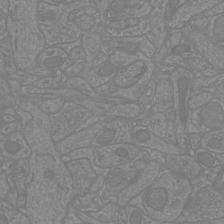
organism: Mouse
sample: Cortical neurons